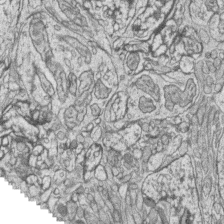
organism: Zebrafish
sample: synaptic ribbons in rod cells and cone cells